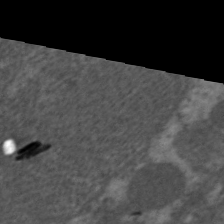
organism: C. elegans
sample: Pharynx